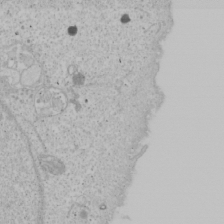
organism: Human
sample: Mitochondria in U2OS cells